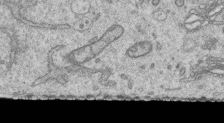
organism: Human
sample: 1205lu cells